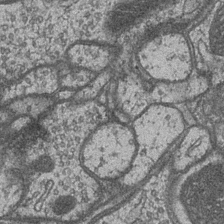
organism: Drosophila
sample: Optic medulla